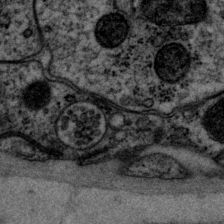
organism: P. pacificus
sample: Pharynx